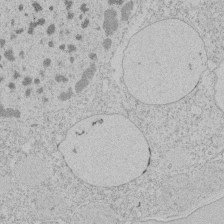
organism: Tetrahymena